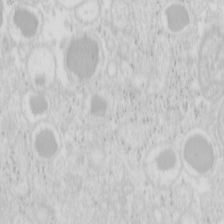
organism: Mouse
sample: Pancreas